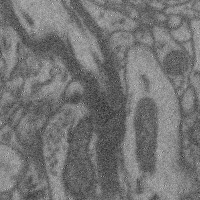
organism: Mouse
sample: Cerebral cortex